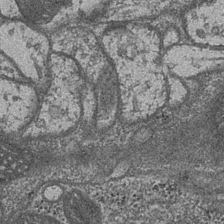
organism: Drosophila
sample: Optic medulla